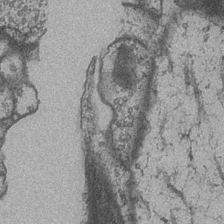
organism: Drosophila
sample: Optic medulla